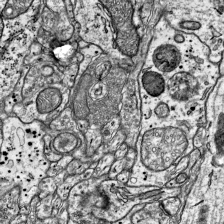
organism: Mouse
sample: Visual Cortex